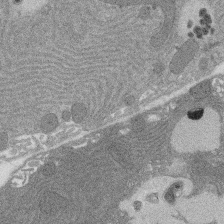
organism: Rat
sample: Salivary granule